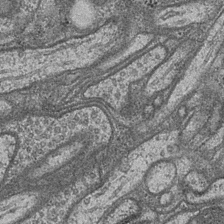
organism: Drosophila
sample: Optic medulla